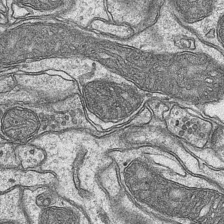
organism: Mouse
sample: CA1 Hippocampus